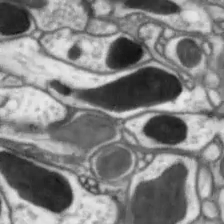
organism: Drosophila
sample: Optic lobe